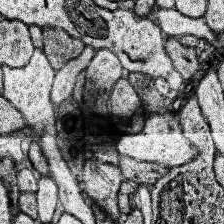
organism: Human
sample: Temporal Lobe